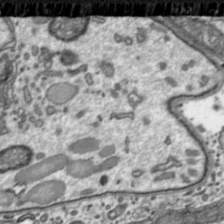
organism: Toxoplasma gondii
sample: Parasites in a vacuole inside a host cell